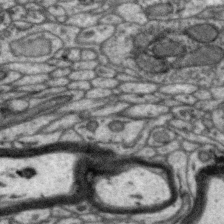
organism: Zebra finch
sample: Brain